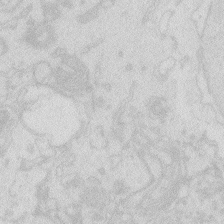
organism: Zebrafish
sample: Macrophage